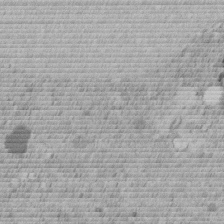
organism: C. elegans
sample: C. elegans embryo early stage